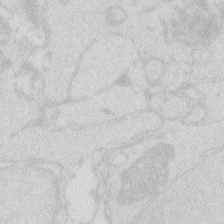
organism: Zebrafish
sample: Macrophage